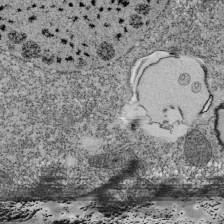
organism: Tetrahymena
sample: Cilia in tetrahymena